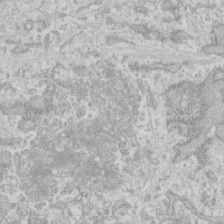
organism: Human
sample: Fibroblast cells